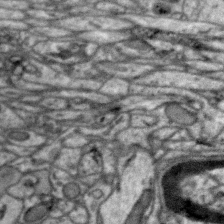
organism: Zebra finch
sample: Brain